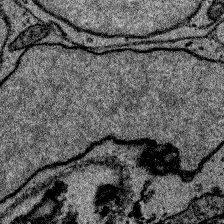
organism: Zebrafish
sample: Larval olfactory bulb